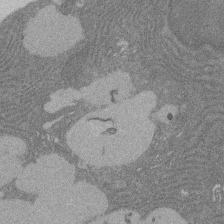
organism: Rat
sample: Salivary granule